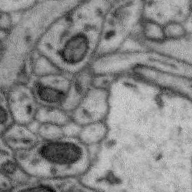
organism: Zebra finch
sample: Brain